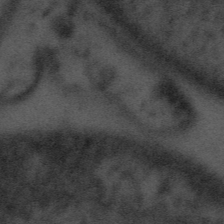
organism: Tuwongella immobilis